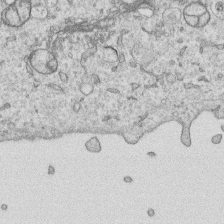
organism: Human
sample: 1205lu cells